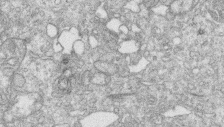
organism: Human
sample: HeLa cell HIV synapse